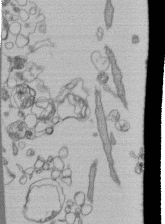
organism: Human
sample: Retinal organoid Rod and Cone cells